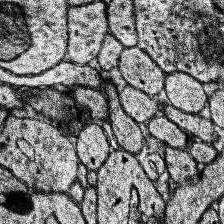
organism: Human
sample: Temporal Lobe